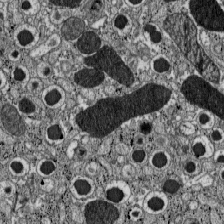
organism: C57BL Mouse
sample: Pancreatic islet